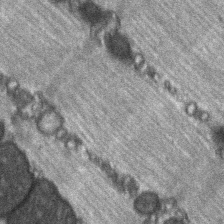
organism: C57BL Mouse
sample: Soleus